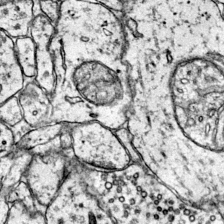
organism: Mouse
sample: Primary visual cortex